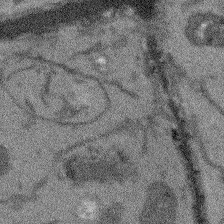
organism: Arabidopsis thaliana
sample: Root tip